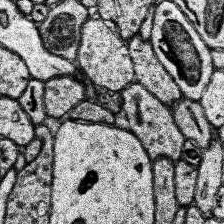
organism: Human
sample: Temporal Lobe